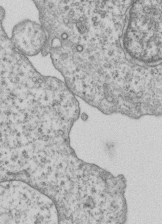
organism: Human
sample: MDA-MB-231 cells